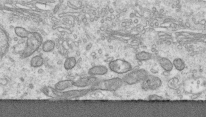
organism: Human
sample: Centriole in RPE cells